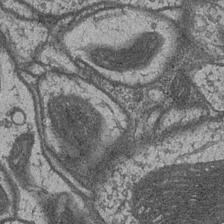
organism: Drosophila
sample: Optic medulla